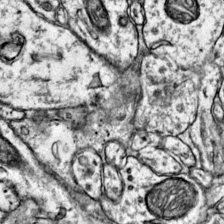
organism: Mouse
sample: Primary visual cortex